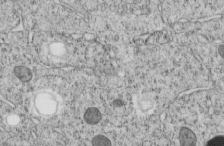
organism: C. elegans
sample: C. elegans embryo early stage